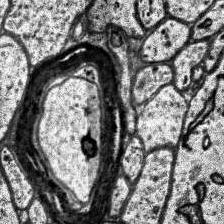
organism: Human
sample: Temporal Lobe